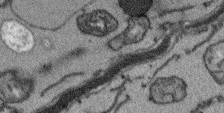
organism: Arabidopsis thaliana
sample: Root tip